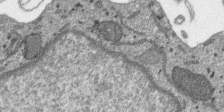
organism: Human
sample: Lung epithelial cells infected with SARS-CoV-2